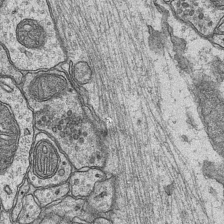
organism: Mouse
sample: CA1 Hippocampus